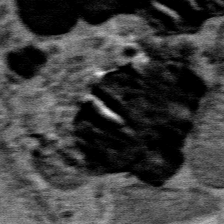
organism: Mouse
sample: Mouse Salivary gland